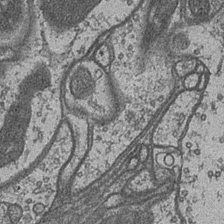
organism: Drosophila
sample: Optic medulla